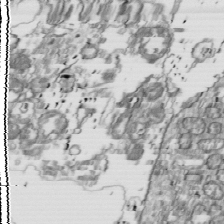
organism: Drosophila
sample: Cell division; meiosis; drosophila spermatocytes